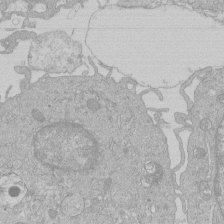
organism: Human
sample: Macrophage cells